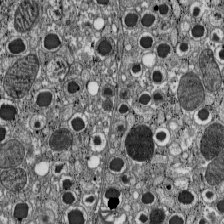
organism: C57BL Mouse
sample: Pancreatic islet